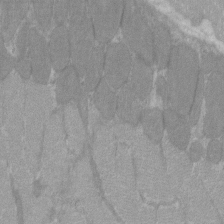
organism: C57BL Mouse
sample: Tibialis anterior muscle cell